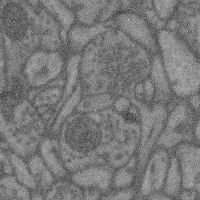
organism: Mouse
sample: Cerebral cortex